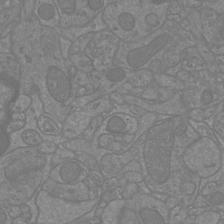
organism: Mouse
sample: Cortical neurons